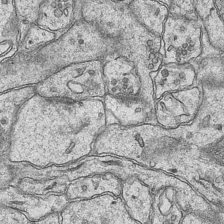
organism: Mouse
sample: CA1 Hippocampus